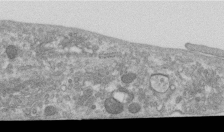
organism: Human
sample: Centriole in RPE cells